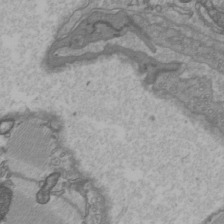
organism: C57BL Mouse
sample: Heart